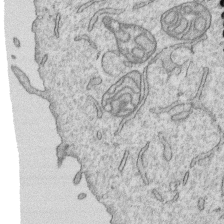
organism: Human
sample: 1205lu cells